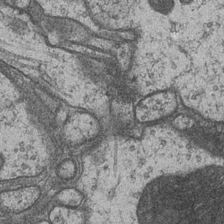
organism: Drosophila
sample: Optic medulla